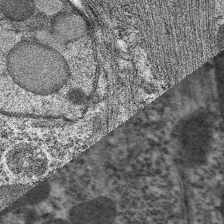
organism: C. elegans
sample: Pharynx